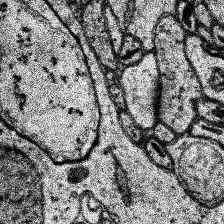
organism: Human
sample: Temporal Lobe